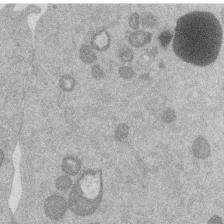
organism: Mouse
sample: Dividing mouse embryo 1 cell stage